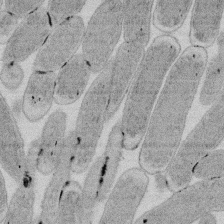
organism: E. coli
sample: Bacterial nucleoid